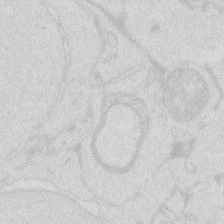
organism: Zebrafish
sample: Macrophage